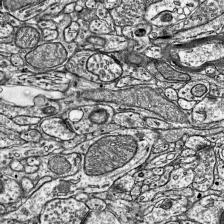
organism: Mouse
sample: Visual Cortex